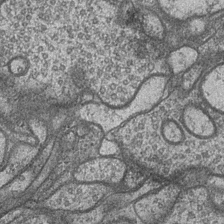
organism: Drosophila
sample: Optic medulla